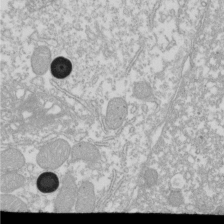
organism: Xenopus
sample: Cilia; centrioles in frog embryo cells